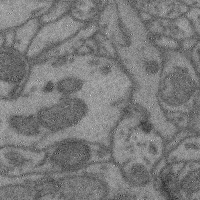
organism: Mouse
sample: Cerebral cortex